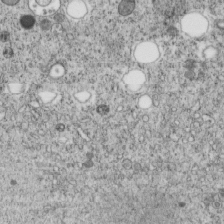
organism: C. elegans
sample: C. elegans embryo early stage